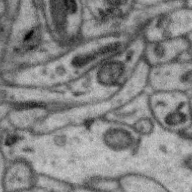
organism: Zebra finch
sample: Brain